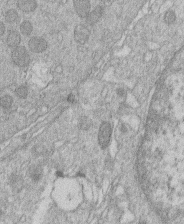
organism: Human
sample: Macrophage cells